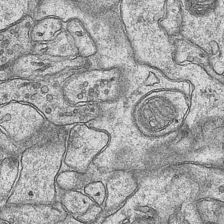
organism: Mouse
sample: CA1 Hippocampus